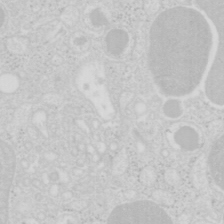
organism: Mouse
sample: Pancreas